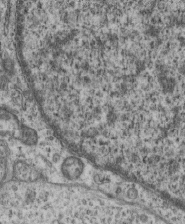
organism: Mouse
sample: Centriole in ependymal cells